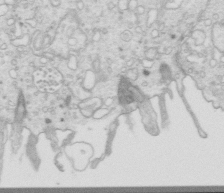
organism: Mouse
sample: Multiciliated cells